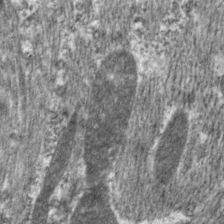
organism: C. elegans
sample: Pharynx